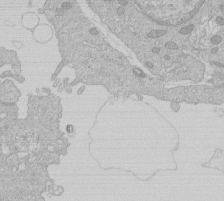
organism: Human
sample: Macrophage cells